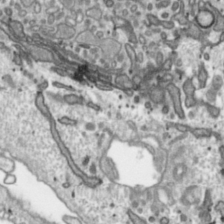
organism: Toxoplasma gondii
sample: Parasites in a vacuole inside a host cell